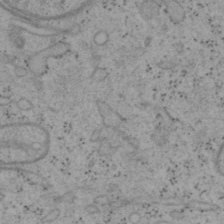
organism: Human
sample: HeLa cells